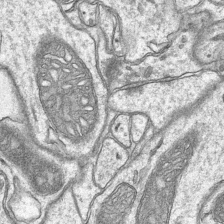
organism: Mouse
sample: CA1 Hippocampus